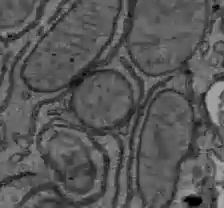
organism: C57BL Mouse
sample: Liver